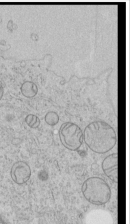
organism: Human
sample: Mitochondria in HCT116 cells